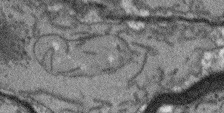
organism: Arabidopsis thaliana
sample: Root tip